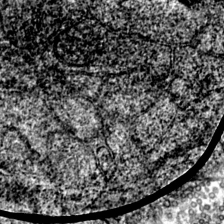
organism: Mouse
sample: Primary visual cortex